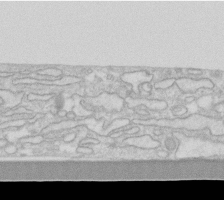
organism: Human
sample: Fibroblast cells